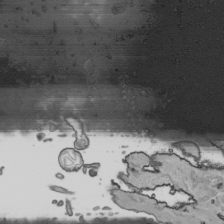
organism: Human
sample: Mitochondria in HCT116 cells